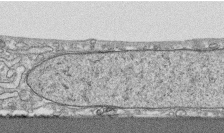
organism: Human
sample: CRL-1474